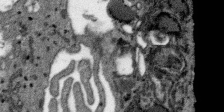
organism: Human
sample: Lung epithelial cells, uninfected (mock) control